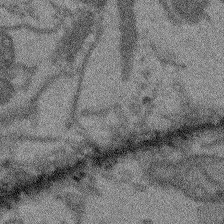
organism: Arabidopsis thaliana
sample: Root tip